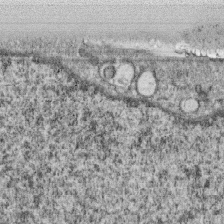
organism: African green monkey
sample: Vero E6 cells infected with SARS-CoV-2